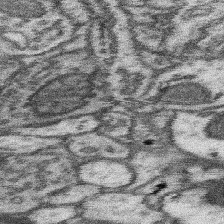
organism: Mouse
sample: Somatosensory cortex neuropil